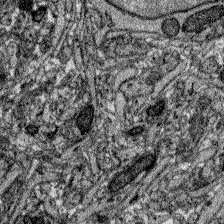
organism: Zebrafish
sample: Larval olfactory bulb